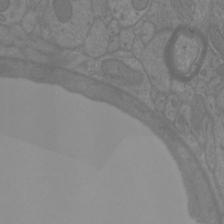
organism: Mouse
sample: Cortical neurons